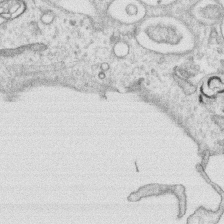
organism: Human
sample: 1205lu cells